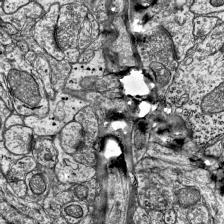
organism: Mouse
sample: Visual Cortex